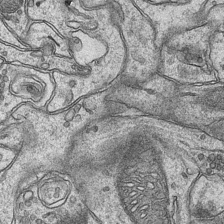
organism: Mouse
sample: CA1 Hippocampus